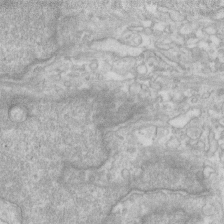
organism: Human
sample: Fibroblast cells